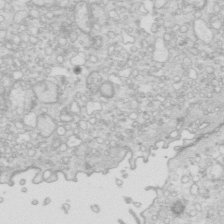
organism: Mouse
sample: Multiciliated cells